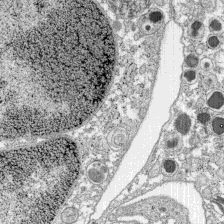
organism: C57BL Mouse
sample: Pancreatic islet